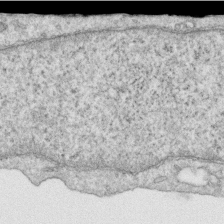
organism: Human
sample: Centriole in RPE cells